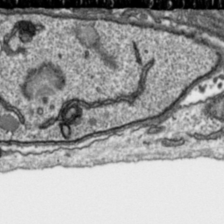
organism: Toxoplasma gondii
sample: Parasites in a vacuole inside a host cell